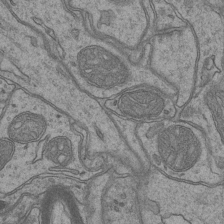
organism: Mouse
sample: CA1 Hippocampus